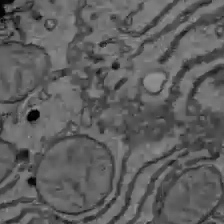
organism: C57BL Mouse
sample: Liver